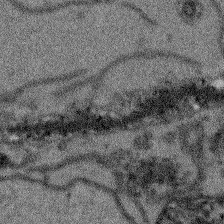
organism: Arabidopsis thaliana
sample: Root tip